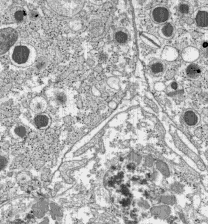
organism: C57BL Mouse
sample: Pancreatic islet